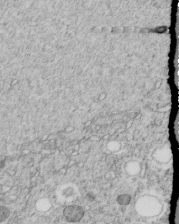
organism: C. elegans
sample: C. elegans embryo early stage